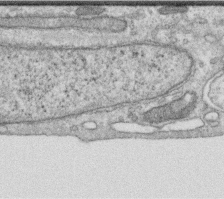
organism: Human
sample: Centriole in RPE cells